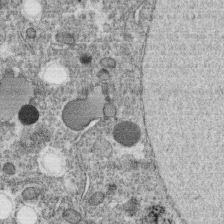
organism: C. elegans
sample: C. elegans oocyte; sperm cells